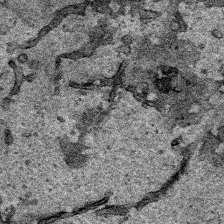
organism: Human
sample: Mitochondria in HCT116 cells